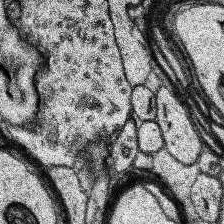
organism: Human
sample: Temporal Lobe